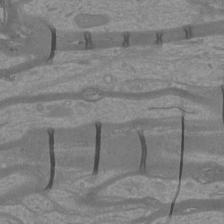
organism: Mouse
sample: Cortical neurons